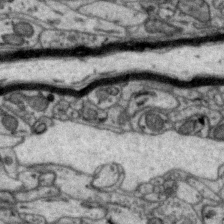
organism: Zebra finch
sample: Brain